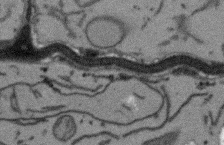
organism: Arabidopsis thaliana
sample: Root tip